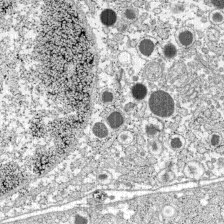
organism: C57BL Mouse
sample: Pancreatic islet